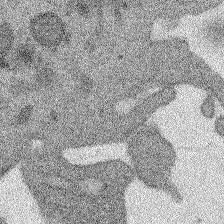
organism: Human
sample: HeLa cells